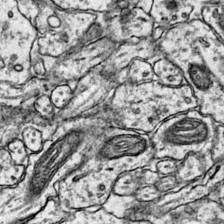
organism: Mouse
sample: Primary visual cortex